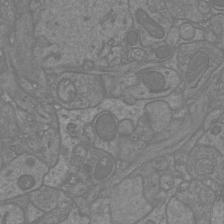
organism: Mouse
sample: Cortical neurons